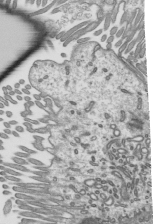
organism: Mouse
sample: Mouse epididymis efferent ductule cilia